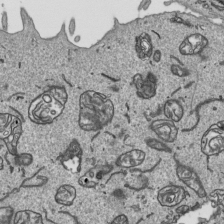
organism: Human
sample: Mitochondria in HCT116 cells